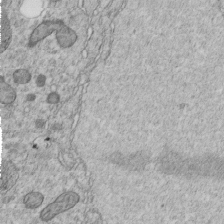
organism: C. elegans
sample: C. elegans embryo early stage